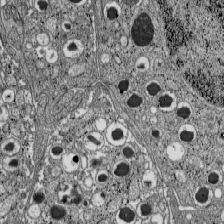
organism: C57BL Mouse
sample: Pancreatic islet